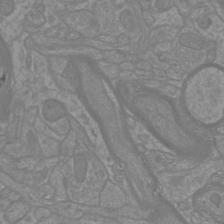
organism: Mouse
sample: Cortical neurons